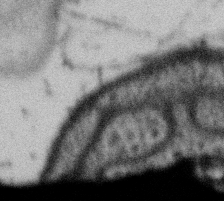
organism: Gemmata obscuriglobus